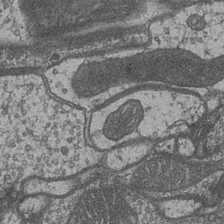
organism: Drosophila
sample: Optic medulla